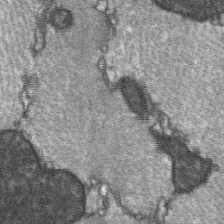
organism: C57BL Mouse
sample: Soleus